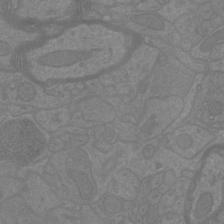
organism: Mouse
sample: Cortical neurons